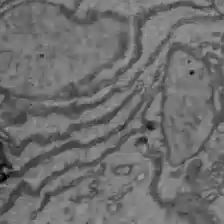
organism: C57BL Mouse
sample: Liver